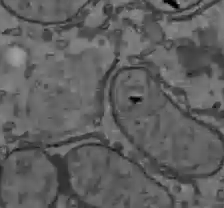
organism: C57BL Mouse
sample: Liver